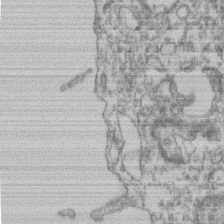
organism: Mouse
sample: T cell stromal cell synapse